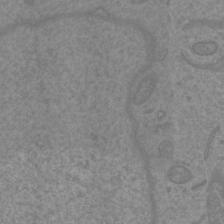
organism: Mouse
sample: Cortical neurons